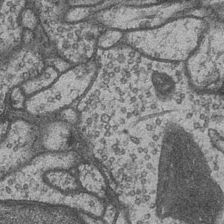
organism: Drosophila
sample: Optic medulla